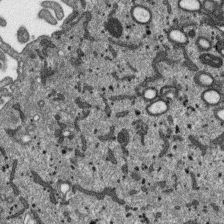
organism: Human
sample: Lung epithelial cells infected with SARS-CoV-2